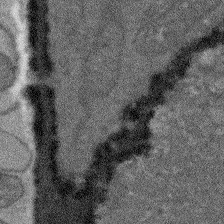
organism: Arabidopsis thaliana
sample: Root tip